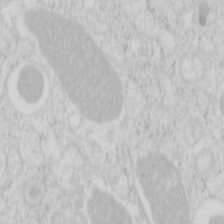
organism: Mouse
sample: Pancreas